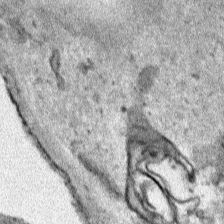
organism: Human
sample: Mitochondria in HCT116 cells